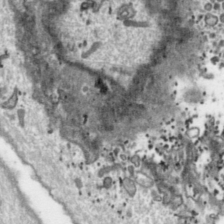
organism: Toxoplasma gondii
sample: Parasites in a vacuole inside a host cell